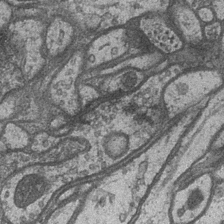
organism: Drosophila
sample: Optic medulla